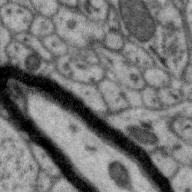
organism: Zebra finch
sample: Brain